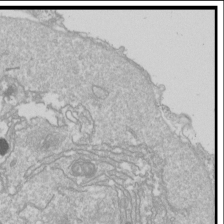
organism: Drosophila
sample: Cell division; meiosis; drosophila spermatocytes